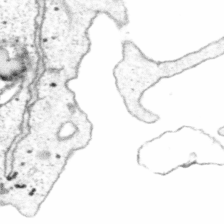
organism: Human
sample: HeLa cells